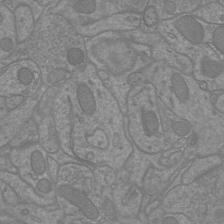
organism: Mouse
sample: Cortical neurons